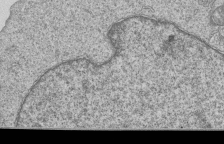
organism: Human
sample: MDA-MB-231 cells